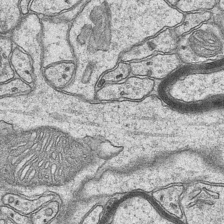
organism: Mouse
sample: CA1 Hippocampus